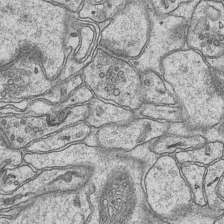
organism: Mouse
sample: CA1 Hippocampus